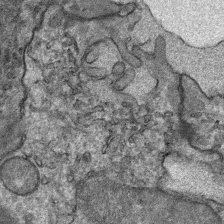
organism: Mouse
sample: Mouse Salivary gland